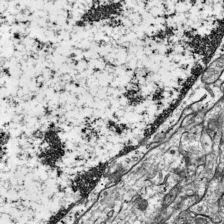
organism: Mouse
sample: Visual Cortex